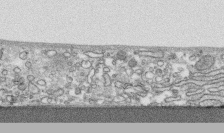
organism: Human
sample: CRL-1474